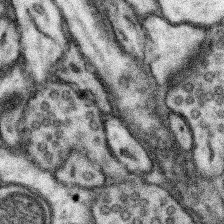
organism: Mouse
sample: Somatosensory cortex neuropil